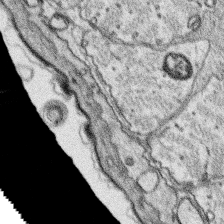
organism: Platynereis dumerilii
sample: Parapodia